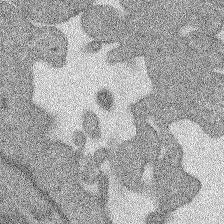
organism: Human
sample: HeLa cells